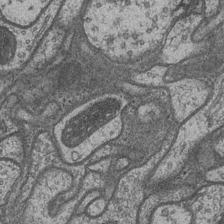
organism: Drosophila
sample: Optic medulla